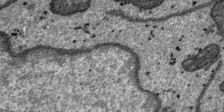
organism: Human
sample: Lung epithelial cells, uninfected (mock) control